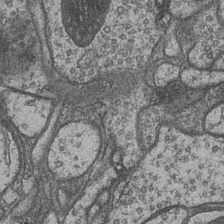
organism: Drosophila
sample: Optic medulla